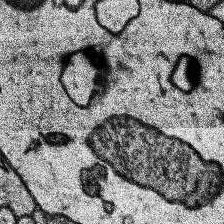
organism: Human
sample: Temporal Lobe